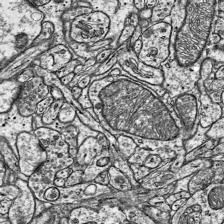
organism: Mouse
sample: Visual Cortex